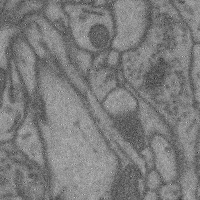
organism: Mouse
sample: Cerebral cortex